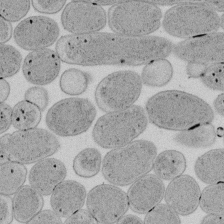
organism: E. coli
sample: Bacterial nucleoid